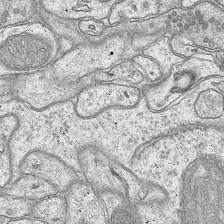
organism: Mouse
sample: CA1 Hippocampus